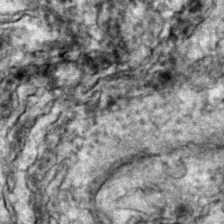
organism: Zebrafish